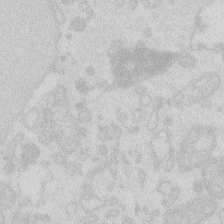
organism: Zebrafish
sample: Macrophage